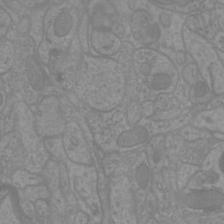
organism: Mouse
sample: Cortical neurons